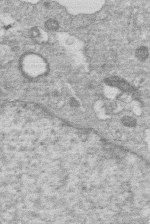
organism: Human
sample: Macrophage cells